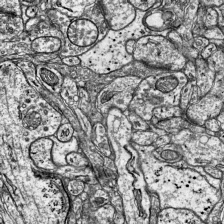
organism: Mouse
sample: Visual Cortex